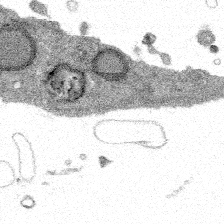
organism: Spongilla lacustris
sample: Multiple